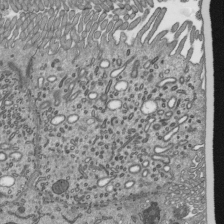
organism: Mouse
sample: Mouse epididymis efferent ductule cilia